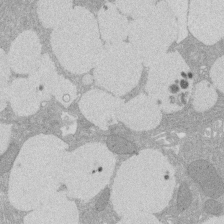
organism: Rat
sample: Salivary granule